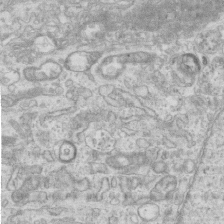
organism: Mouse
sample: Centriole in ependymal cells